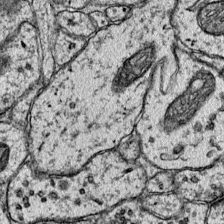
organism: Mouse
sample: Primary visual cortex